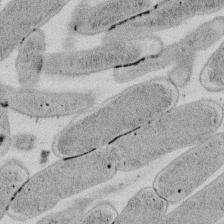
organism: E. coli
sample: Bacterial nucleoid